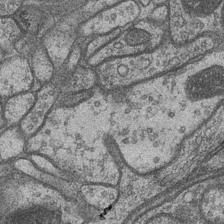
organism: Drosophila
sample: Optic medulla